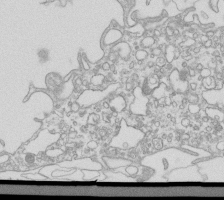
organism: Mouse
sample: Macrophages